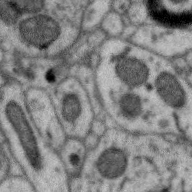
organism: Zebra finch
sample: Brain